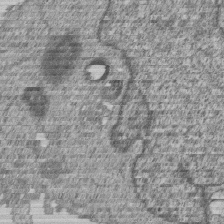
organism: Human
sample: MDA-MB-231 cells